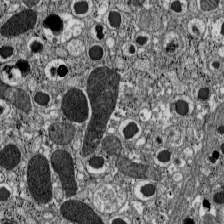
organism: C57BL Mouse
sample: Pancreatic islet